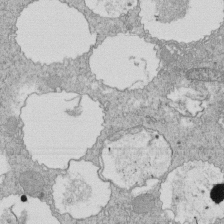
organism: Tetrahymena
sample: Cilia in tetrahymena